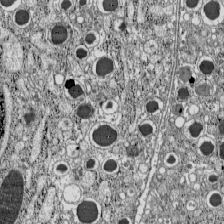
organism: C57BL Mouse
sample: Pancreatic islet